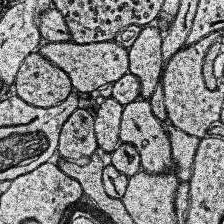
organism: Human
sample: Temporal Lobe